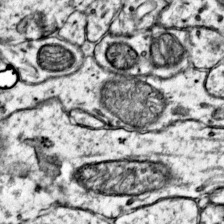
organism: Mouse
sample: Primary visual cortex